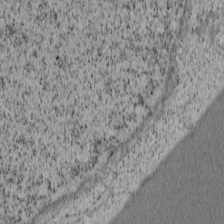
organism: African green monkey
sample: COS-7 cells